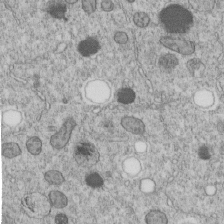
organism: C. elegans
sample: C. elegans embryo early stage